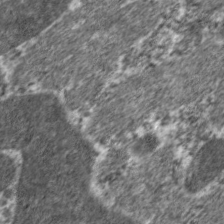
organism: C. elegans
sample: Pharynx